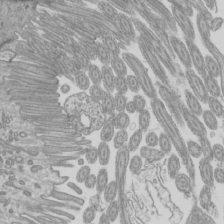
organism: Mouse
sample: Cilia; mouse epididymis